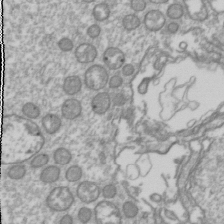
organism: Drosophila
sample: Cell division; meiosis; drosophila spermatocytes